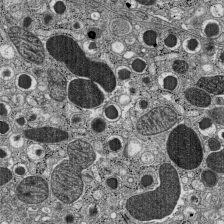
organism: C57BL Mouse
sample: Pancreatic islet